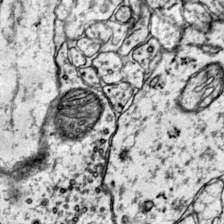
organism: Mouse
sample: Primary visual cortex